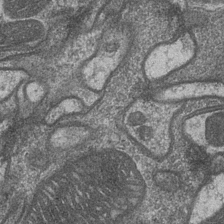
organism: Drosophila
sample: Optic medulla